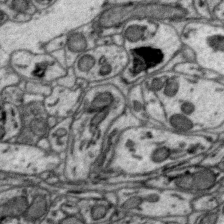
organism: Zebra finch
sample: Brain